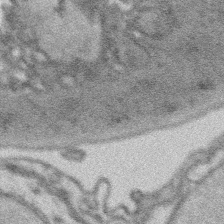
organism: Platynereis dumerilii